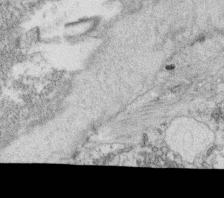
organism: C. elegans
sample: C. elegans oocyte; sperm cells